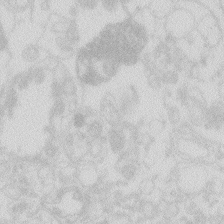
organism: Zebrafish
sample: Macrophage